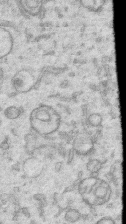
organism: Human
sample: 1205lu cells